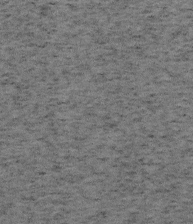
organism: Mouse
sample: OT-I killer T cells with ID8 ovarian cancer cells